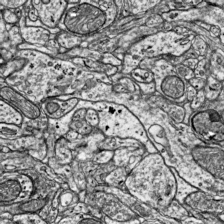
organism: Mouse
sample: Visual Cortex